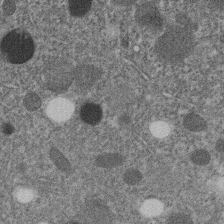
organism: C. elegans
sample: C. elegans embryo early stage